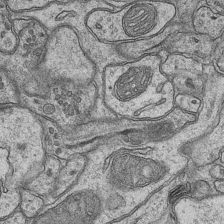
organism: Mouse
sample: CA1 Hippocampus